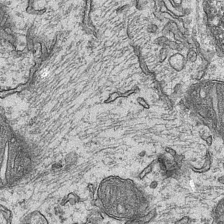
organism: Mouse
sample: CA1 Hippocampus